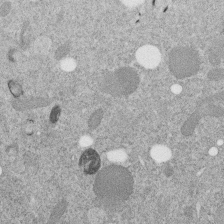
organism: C. elegans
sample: C. elegans embryo early stage